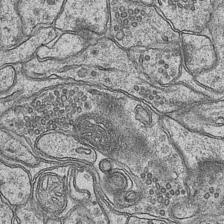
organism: Mouse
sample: CA1 Hippocampus